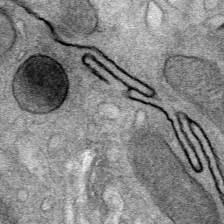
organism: Mouse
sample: Mouse Salivary gland